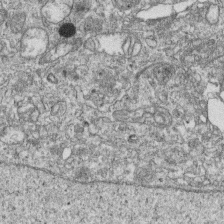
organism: Human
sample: HeLa cell HIV synapse